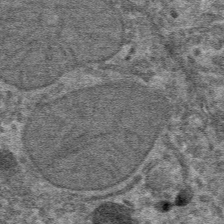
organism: Mouse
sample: Mouse hepatocytes